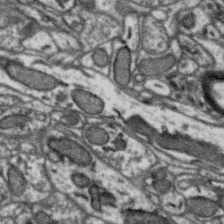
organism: Zebra finch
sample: Brain